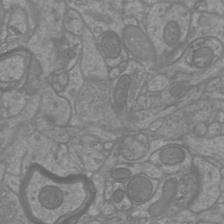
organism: Mouse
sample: Cortical neurons